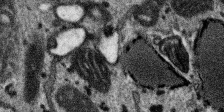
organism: Human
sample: Lung epithelial cells infected with SARS-CoV-2